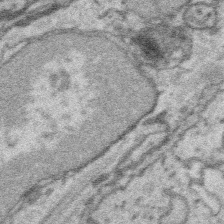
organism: Platynereis dumerilii